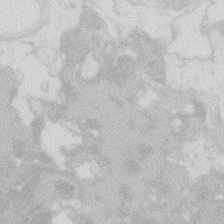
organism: Zebrafish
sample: Macrophage